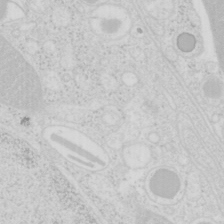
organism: Mouse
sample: Pancreas